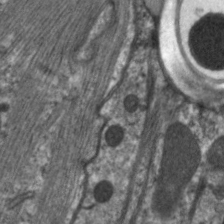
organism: C. elegans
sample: Pharynx